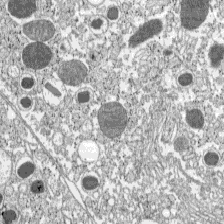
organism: C57BL Mouse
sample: Pancreatic islet